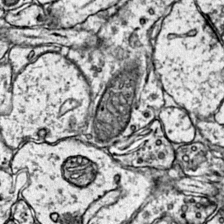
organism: Mouse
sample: Primary visual cortex